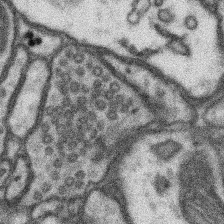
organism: Mouse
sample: Somatosensory cortex neuropil